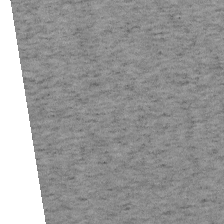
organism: Mouse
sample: OT-I killer T cells with ID8 ovarian cancer cells